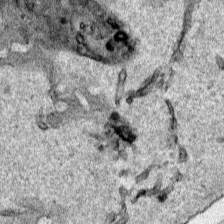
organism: Human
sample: Mitochondria in HCT116 cells